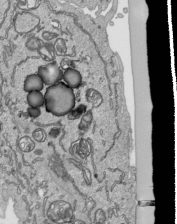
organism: Human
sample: Mitochondria in HCT116 cells